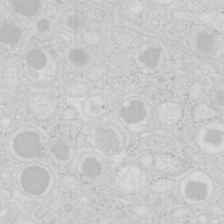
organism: Mouse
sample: Pancreas